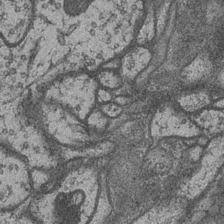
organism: Drosophila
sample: Optic medulla